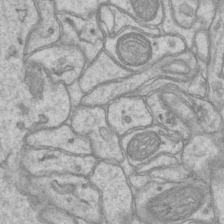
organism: Mouse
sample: CA1 Hippocampus